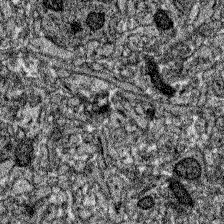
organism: Zebrafish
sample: Larval olfactory bulb